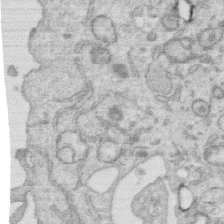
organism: Human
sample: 1205lu cells